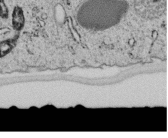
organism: C. elegans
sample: C. elegans embryo early stage